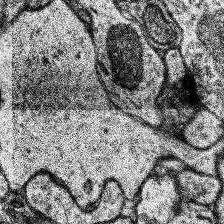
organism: Human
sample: Temporal Lobe